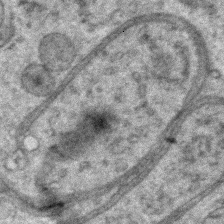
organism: Zebrafish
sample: Zebrafish embryo